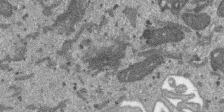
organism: Human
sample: Lung epithelial cells infected with SARS-CoV-2